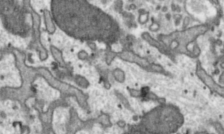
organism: Toxoplasma gondii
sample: Parasites in a vacuole inside a host cell